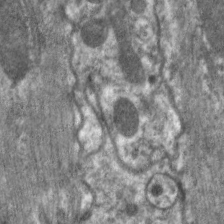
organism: C. elegans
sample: Pharynx